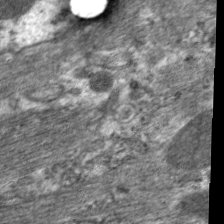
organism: C. elegans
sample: Pharynx